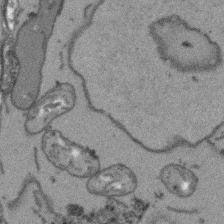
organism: Arabidopsis thaliana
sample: Root tip